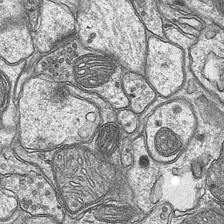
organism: Mouse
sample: CA1 Hippocampus